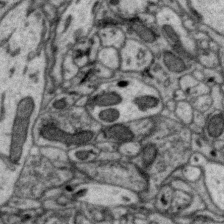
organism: Zebra finch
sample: Brain